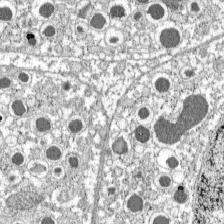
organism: C57BL Mouse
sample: Pancreatic islet